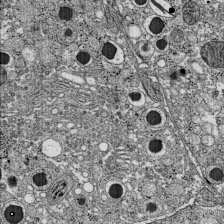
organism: C57BL Mouse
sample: Pancreatic islet